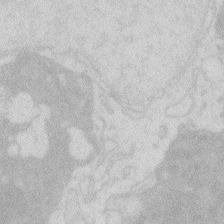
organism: Zebrafish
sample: Macrophage